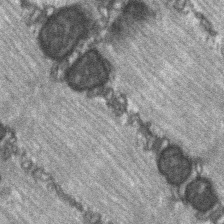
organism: C57BL Mouse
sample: Soleus